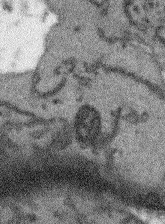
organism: Arabidopsis thaliana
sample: Root tip